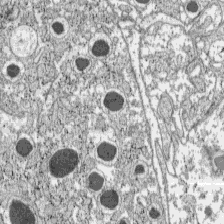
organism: C57BL Mouse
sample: Pancreatic islet